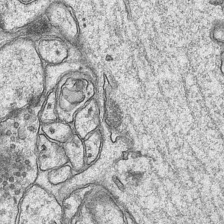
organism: Mouse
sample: CA1 Hippocampus